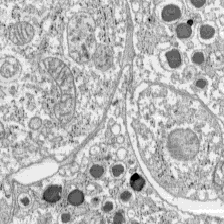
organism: C57BL Mouse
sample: Pancreatic islet